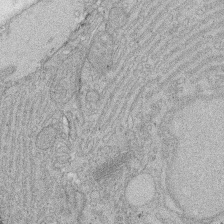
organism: Rat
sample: Salivary granule